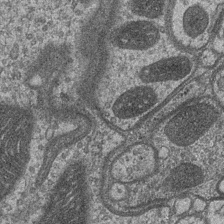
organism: Drosophila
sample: Optic medulla